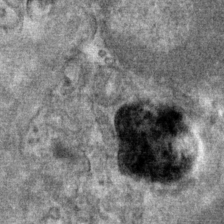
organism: Mouse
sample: Mouse Salivary gland